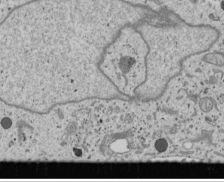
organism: Human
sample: Mitochondria in U2OS cells